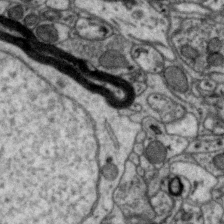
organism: Zebra finch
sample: Brain